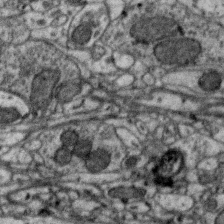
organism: Zebra finch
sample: Brain